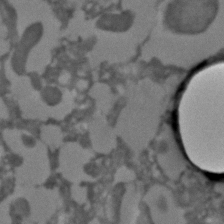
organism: C. elegans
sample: C. elegans embryo